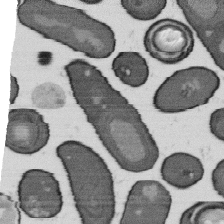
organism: B. subtilis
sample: Bacterial spore